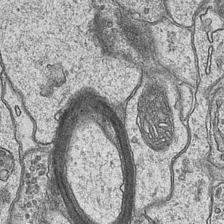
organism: Mouse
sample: CA1 Hippocampus